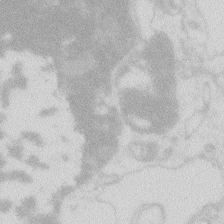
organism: Zebrafish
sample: Macrophage